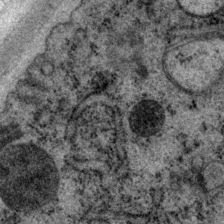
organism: P. pacificus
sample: Pharynx